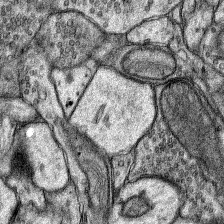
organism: Rat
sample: Hippocampus